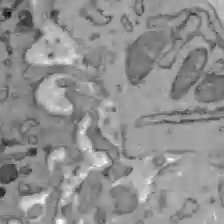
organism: C57BL Mouse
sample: Liver